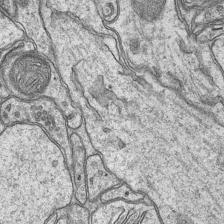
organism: Mouse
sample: CA1 Hippocampus